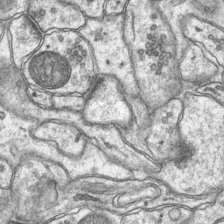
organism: Mouse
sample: CA1 Hippocampus